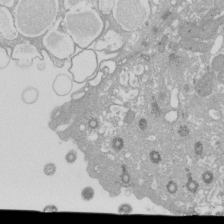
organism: Xenopus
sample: Cilia; centrioles in frog embryo cells